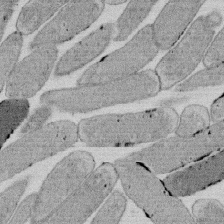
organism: E. coli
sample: Bacterial nucleoid